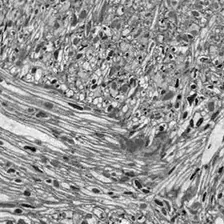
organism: Drosophila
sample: Optic lobe